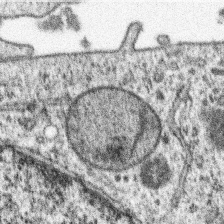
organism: Human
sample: HeLa cells